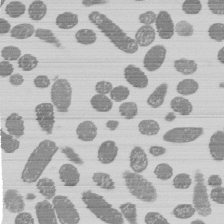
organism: E. coli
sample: Bacterial nucleoid